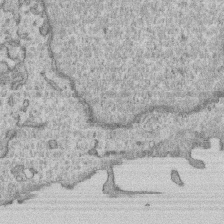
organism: Human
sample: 1205lu cells